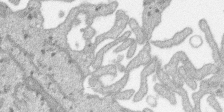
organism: Human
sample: Lung epithelial cells infected with SARS-CoV-2